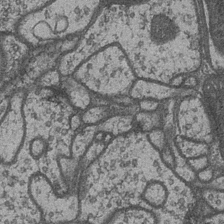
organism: Drosophila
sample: Optic medulla